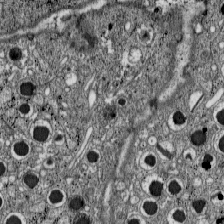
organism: C57BL Mouse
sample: Pancreatic islet